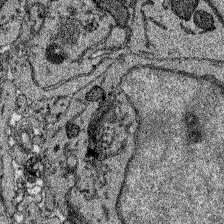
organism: Zebrafish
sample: Larval olfactory bulb